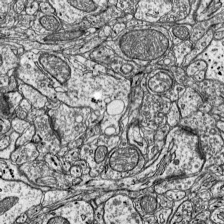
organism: Mouse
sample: Visual Cortex